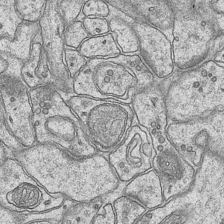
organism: Mouse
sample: CA1 Hippocampus